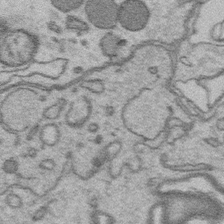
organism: Platynereis dumerilii